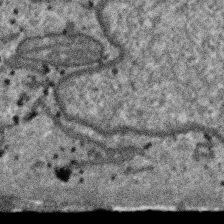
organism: Human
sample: Lung epithelial cells infected with SARS-CoV-2